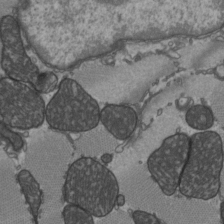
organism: C57BL Mouse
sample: Heart